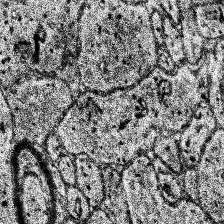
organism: Human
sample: Temporal Lobe